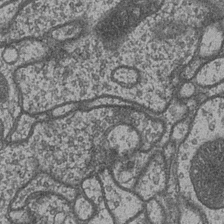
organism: Drosophila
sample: Optic medulla